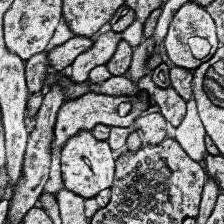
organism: Human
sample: Temporal Lobe